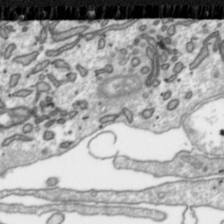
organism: Toxoplasma gondii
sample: Parasites in a vacuole inside a host cell